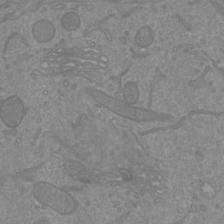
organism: Mouse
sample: Cortical neurons